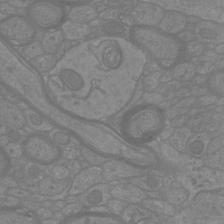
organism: Mouse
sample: Cortical neurons